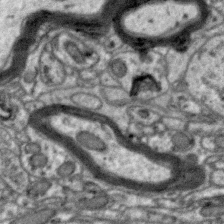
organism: Zebra finch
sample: Brain